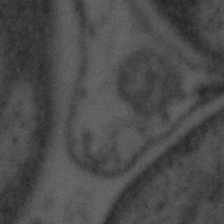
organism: Tuwongella immobilis